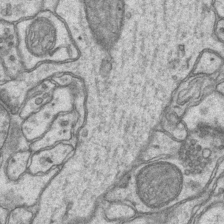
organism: Mouse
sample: CA1 Hippocampus